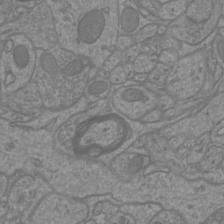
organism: Mouse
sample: Cortical neurons